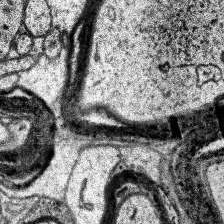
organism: Human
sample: Temporal Lobe